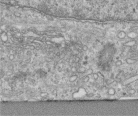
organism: Human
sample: Centriole in RPE cells